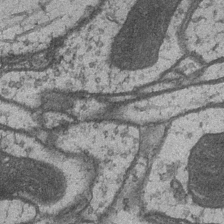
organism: Drosophila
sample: Optic medulla